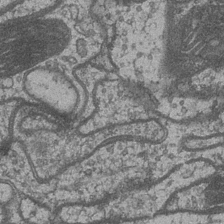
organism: Drosophila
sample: Optic medulla